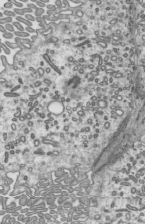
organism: Mouse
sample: Mouse epididymis efferent ductule cilia